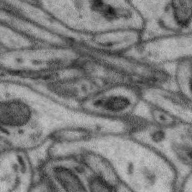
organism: Zebra finch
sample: Brain